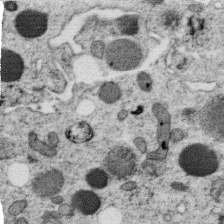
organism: C. elegans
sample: C. elegans oocyte; sperm cells